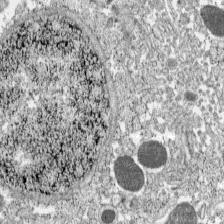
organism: C57BL Mouse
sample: Pancreatic islet